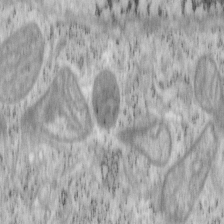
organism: Human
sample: HeLa cells